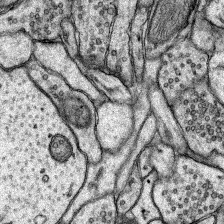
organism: Rat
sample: Hippocampus